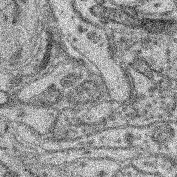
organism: Mouse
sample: Retina